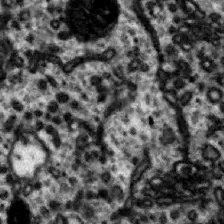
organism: Human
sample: HeLa cells